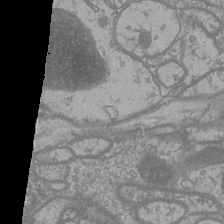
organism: Drosophila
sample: Optic medulla